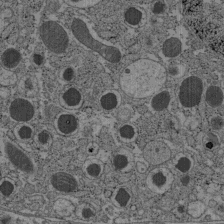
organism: C57BL Mouse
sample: Pancreatic islet